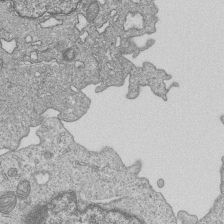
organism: Human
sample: MDA-MB-231 cells